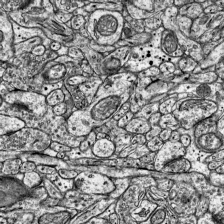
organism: Mouse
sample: Visual Cortex